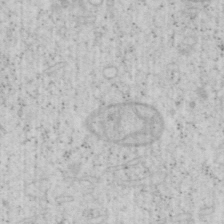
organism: Human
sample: HeLa cells